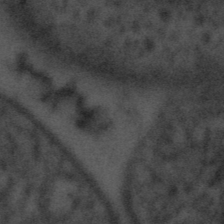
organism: Tuwongella immobilis